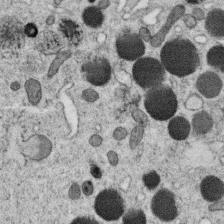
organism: C. elegans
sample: C. elegans oocyte; sperm cells